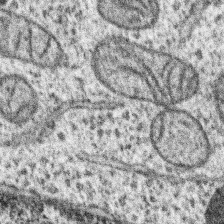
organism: Human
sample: HeLa cells